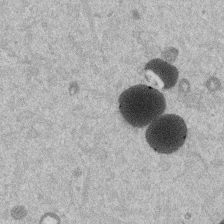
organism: Mouse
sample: Dividing mouse embryo 1 cell stage